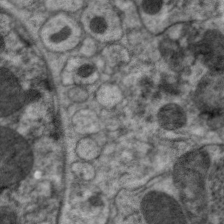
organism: C. elegans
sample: Pharynx